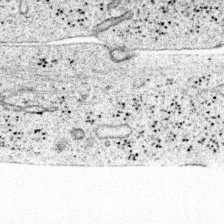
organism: Human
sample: HeLa cells